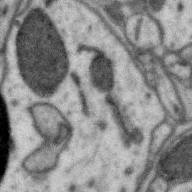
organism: Zebra finch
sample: Brain